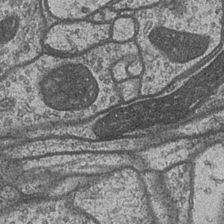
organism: Drosophila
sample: Optic medulla